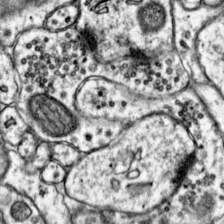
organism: Mouse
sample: Primary visual cortex